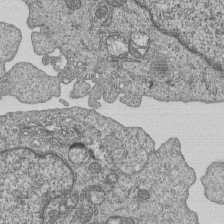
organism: Human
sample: MDA-MB-231 cells